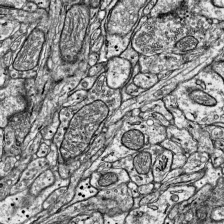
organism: Mouse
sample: Visual Cortex